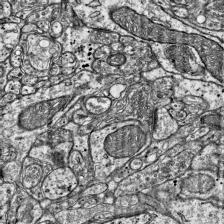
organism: Mouse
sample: Visual Cortex